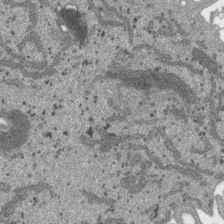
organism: Human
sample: Lung epithelial cells infected with SARS-CoV-2